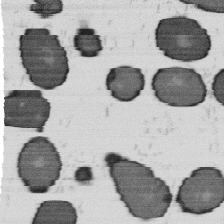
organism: B. subtilis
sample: Bacterial spore